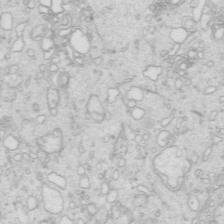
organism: Mouse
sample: Multiciliated cells